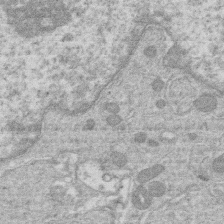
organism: Human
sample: Macrophage cells